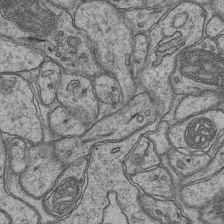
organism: Mouse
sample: CA1 Hippocampus